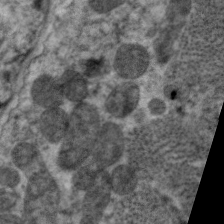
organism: C. elegans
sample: Pharynx